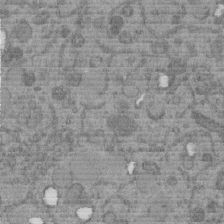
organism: C. elegans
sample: C. elegans embryo early stage